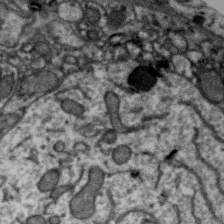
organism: Zebra finch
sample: Brain